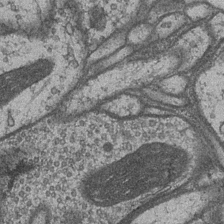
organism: Drosophila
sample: Optic medulla